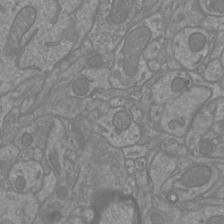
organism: Mouse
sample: Cortical neurons